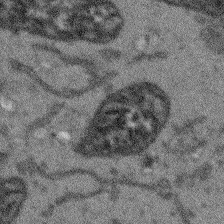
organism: Arabidopsis thaliana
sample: Root tip